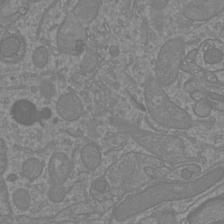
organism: Mouse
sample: Cortical neurons